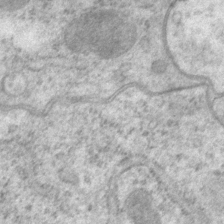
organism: P. pacificus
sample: Pharynx